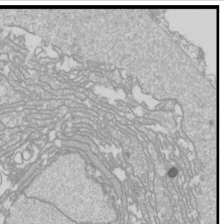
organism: Drosophila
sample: Cell division; meiosis; drosophila spermatocytes